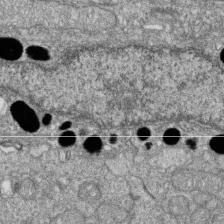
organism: Zebrafish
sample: Cilia; retinal pigment epithelium